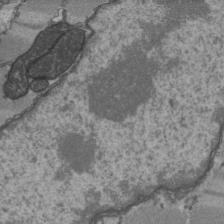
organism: C57BL Mouse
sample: Heart